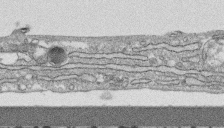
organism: Human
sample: CRL-1474